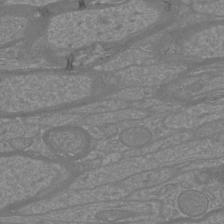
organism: Mouse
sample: Cortical neurons